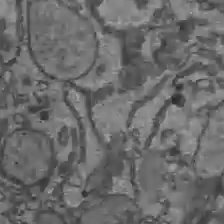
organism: C57BL Mouse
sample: Liver